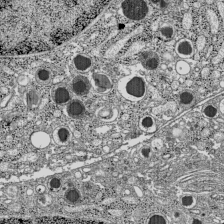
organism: C57BL Mouse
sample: Pancreatic islet